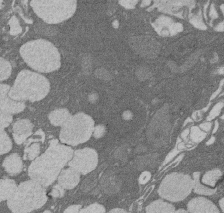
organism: Rat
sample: Salivary granule